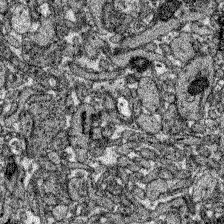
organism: Zebrafish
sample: Larval olfactory bulb